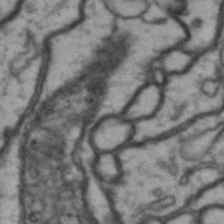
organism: Drosophila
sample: Brain